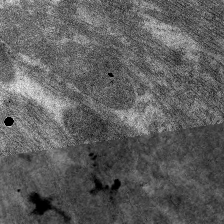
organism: C. elegans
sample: Pharynx